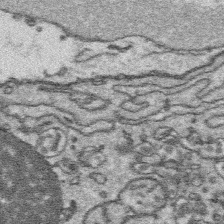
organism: Platynereis dumerilii